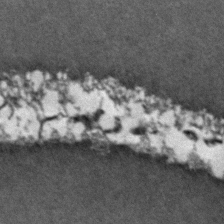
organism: Zebrafish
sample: Zebrafish embryo